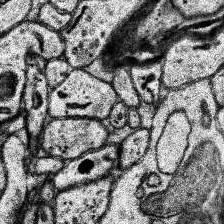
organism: Human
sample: Temporal Lobe